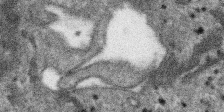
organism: Human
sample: Lung epithelial cells infected with SARS-CoV-2